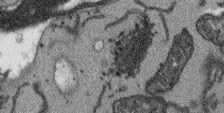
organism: Arabidopsis thaliana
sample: Root tip